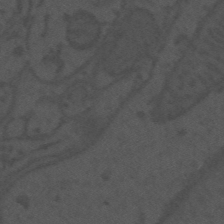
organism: Mouse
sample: Suprachiasmatic nucleus